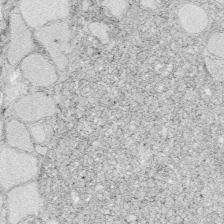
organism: Zebrafish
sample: Whole-Brain